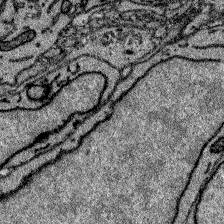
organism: Zebrafish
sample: Larval olfactory bulb